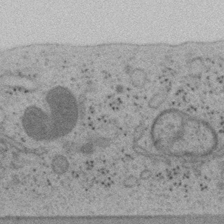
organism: Human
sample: HeLa cells